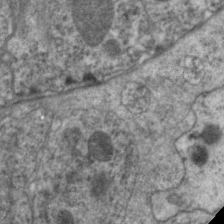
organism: C. elegans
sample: Pharynx